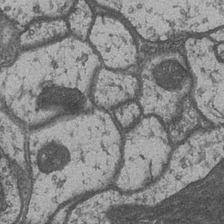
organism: Drosophila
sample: Optic medulla